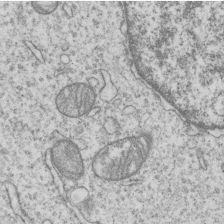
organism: Human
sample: MDA-MB-231 cells